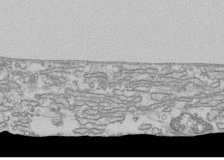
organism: Human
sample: Fibroblast cells